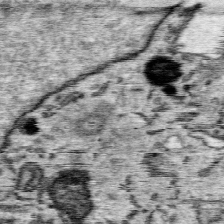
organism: Human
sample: HeLa cells